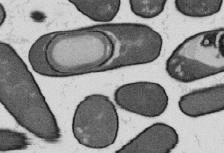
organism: B. subtilis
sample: Bacterial spore